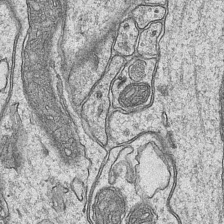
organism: Mouse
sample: CA1 Hippocampus